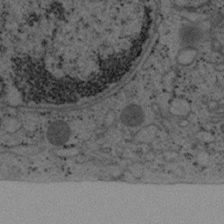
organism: Human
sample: HeLa cells